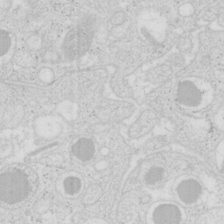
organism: Mouse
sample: Pancreas